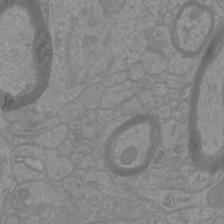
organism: Mouse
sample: Cortical neurons